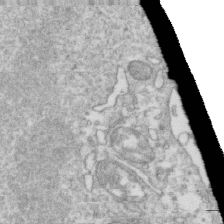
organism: Mouse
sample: Activated OT-1 CD8+ T cells